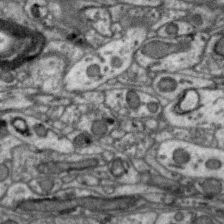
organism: Zebra finch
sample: Brain